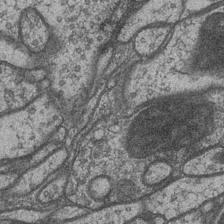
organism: Drosophila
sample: Optic medulla